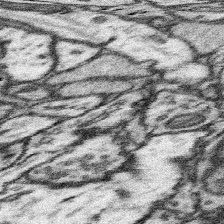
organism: Mouse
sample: Somatosensory cortex neuropil